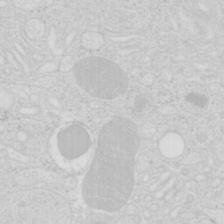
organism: Mouse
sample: Pancreas